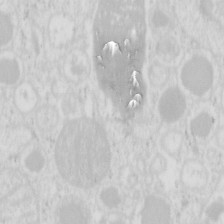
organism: Mouse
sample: Pancreas